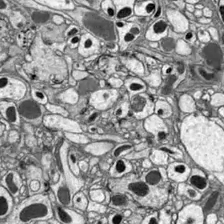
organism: Drosophila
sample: Optic lobe